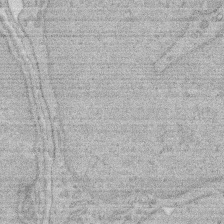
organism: Rat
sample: Salivary granule